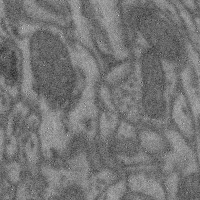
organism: Mouse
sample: Cerebral cortex